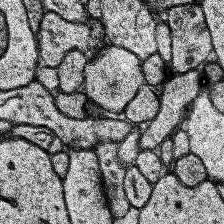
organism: Human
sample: Temporal Lobe